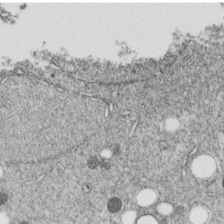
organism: C. elegans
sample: C. elegans embryo early stage